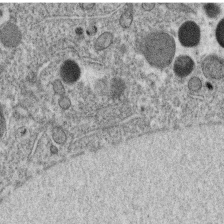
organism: C. elegans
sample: C. elegans oocyte; sperm cells